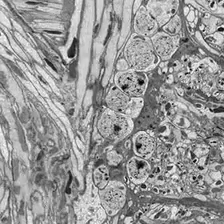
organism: Drosophila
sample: Optic lobe